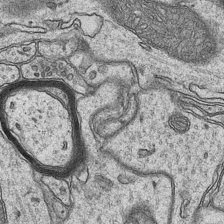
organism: Mouse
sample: CA1 Hippocampus